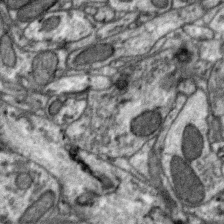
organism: Zebra finch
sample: Brain